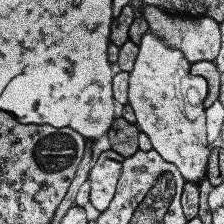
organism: Human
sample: Temporal Lobe